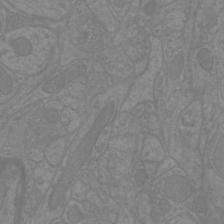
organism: Mouse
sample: Cortical neurons